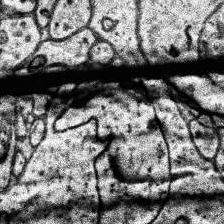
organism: Human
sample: Temporal Lobe